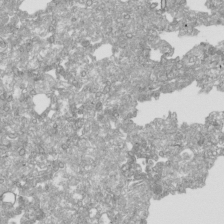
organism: Human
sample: Mitochondria in HCT116 cells